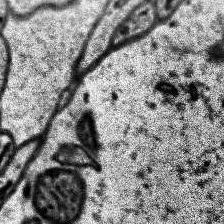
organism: Human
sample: Temporal Lobe